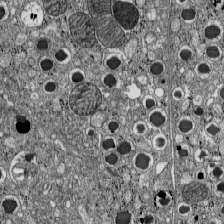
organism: C57BL Mouse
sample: Pancreatic islet